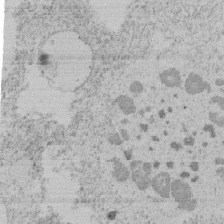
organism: Tetrahymena